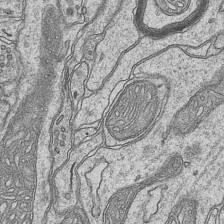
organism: Mouse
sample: CA1 Hippocampus